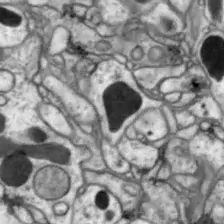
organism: Drosophila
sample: Optic lobe